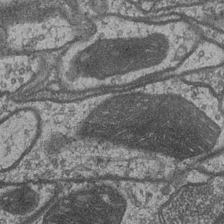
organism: Drosophila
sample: Optic medulla